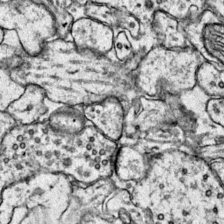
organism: Mouse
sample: Primary visual cortex